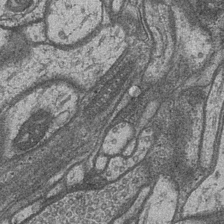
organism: Drosophila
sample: Optic medulla